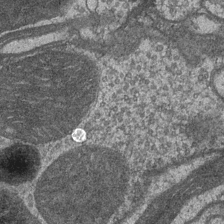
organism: Drosophila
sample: Optic medulla